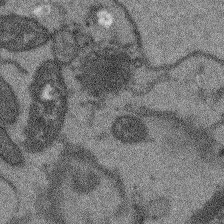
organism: Arabidopsis thaliana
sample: Root tip